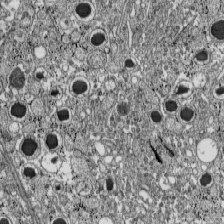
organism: C57BL Mouse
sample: Pancreatic islet